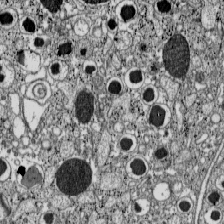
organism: C57BL Mouse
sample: Pancreatic islet